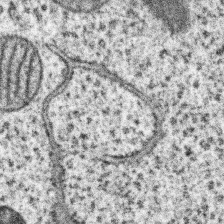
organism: Human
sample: HeLa cells